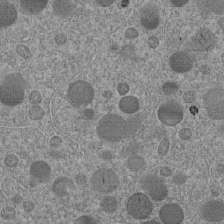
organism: C. elegans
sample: C. elegans embryo early stage